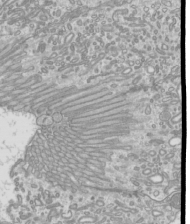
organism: Mouse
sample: Cilia; mouse epididymis